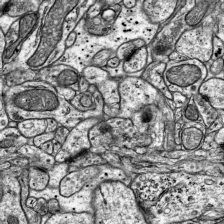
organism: Mouse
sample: Visual Cortex